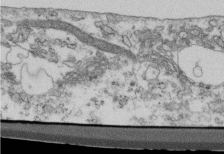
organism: Mouse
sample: Cilia; retinal pigment epithelium